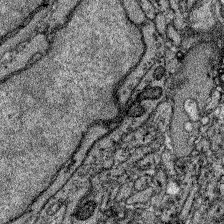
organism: Zebrafish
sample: Larval olfactory bulb